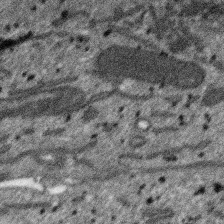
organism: Human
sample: Lung epithelial cells infected with SARS-CoV-2